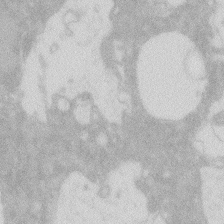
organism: Zebrafish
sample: Macrophage